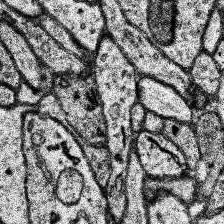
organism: Human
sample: Temporal Lobe